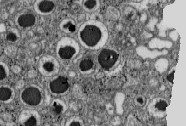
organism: C57BL Mouse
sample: Pancreatic islet